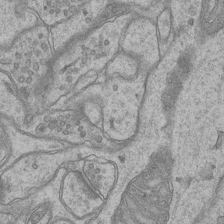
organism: Mouse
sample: CA1 Hippocampus